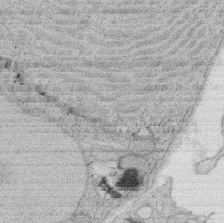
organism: Rat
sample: Salivary granule